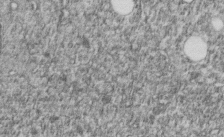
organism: C. elegans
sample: C. elegans embryo early stage